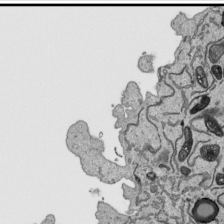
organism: Human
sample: Mitochondria in HCT116 cells